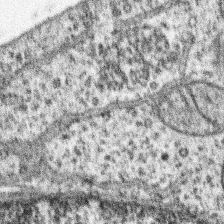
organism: Human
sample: HeLa cells